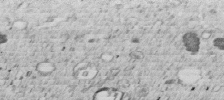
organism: C. elegans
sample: C. elegans embryo early stage